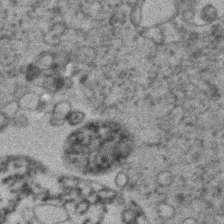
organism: Human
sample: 1205lu cells